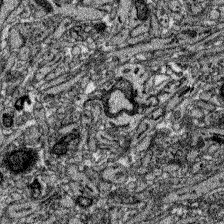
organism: Zebrafish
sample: Larval olfactory bulb